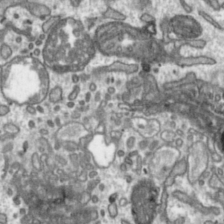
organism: Toxoplasma gondii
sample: Parasites in a vacuole inside a host cell